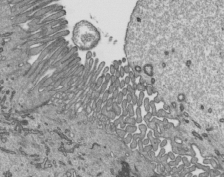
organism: Mouse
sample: Mouse epididymis efferent ductule cilia